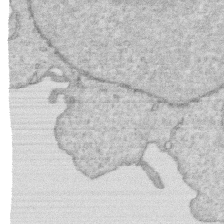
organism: Human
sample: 1205lu cells